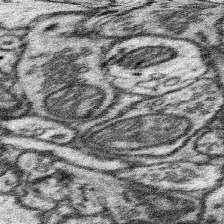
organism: Mouse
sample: Somatosensory cortex neuropil